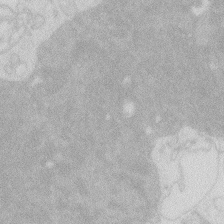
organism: Zebrafish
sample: Macrophage